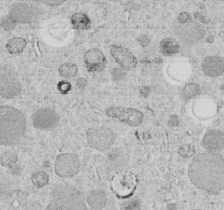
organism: C. elegans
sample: C. elegans embryo early stage